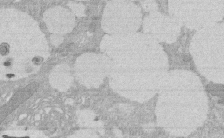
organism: Rat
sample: Salivary granule